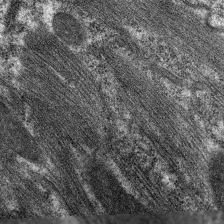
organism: C. elegans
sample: Pharynx